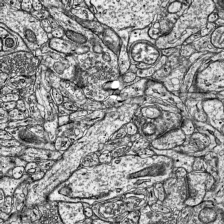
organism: Mouse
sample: Visual Cortex